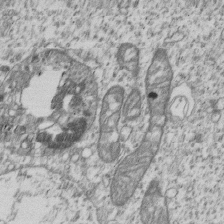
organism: Human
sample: MDA-MB-231 cells